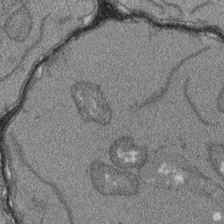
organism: Arabidopsis thaliana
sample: Root tip